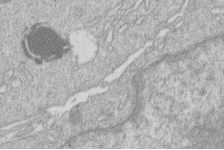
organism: Human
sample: Macrophage cells